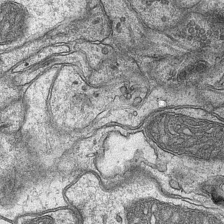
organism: Mouse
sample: CA1 Hippocampus